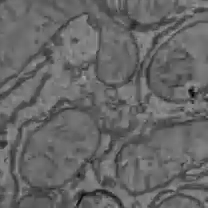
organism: C57BL Mouse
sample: Liver